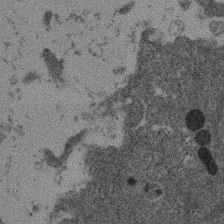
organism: Mouse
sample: Dividing mouse embryo 1 cell stage